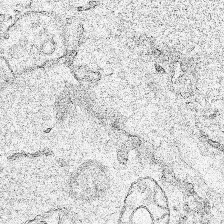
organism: Human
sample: Mitochondria in HCT116 cells